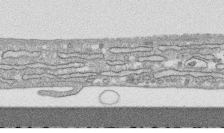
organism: Human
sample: CRL-1474